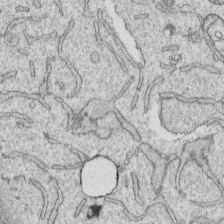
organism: Human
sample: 1205lu cells